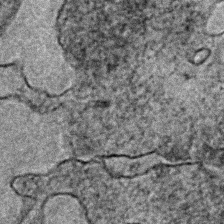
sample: Trachea